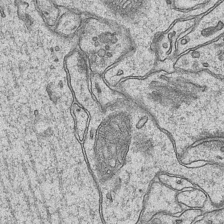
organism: Mouse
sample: CA1 Hippocampus